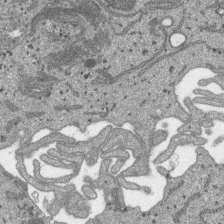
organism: Human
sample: Lung epithelial cells infected with SARS-CoV-2